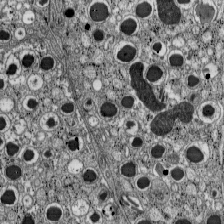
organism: C57BL Mouse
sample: Pancreatic islet